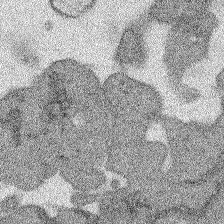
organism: Human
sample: HeLa cells